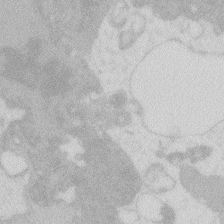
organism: Zebrafish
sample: Macrophage